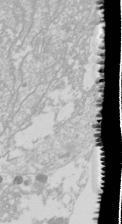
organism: Drosophila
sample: Cell division; meiosis; drosophila spermatocytes